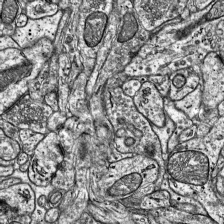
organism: Mouse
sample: Visual Cortex